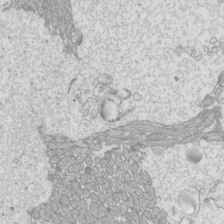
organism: Mouse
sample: Cilia; mouse epididymis